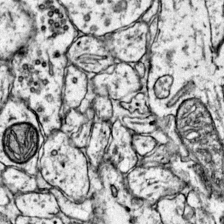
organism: Mouse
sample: Primary visual cortex